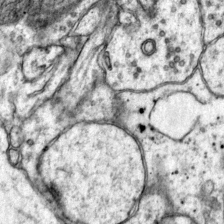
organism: Mouse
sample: Primary visual cortex